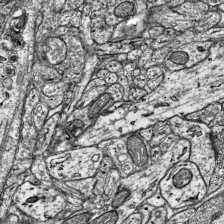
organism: Mouse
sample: Visual Cortex